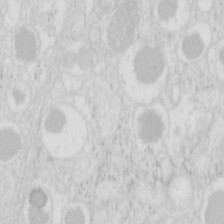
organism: Mouse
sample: Pancreas